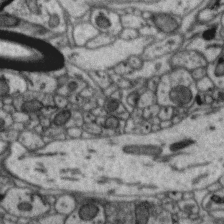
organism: Zebra finch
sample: Brain